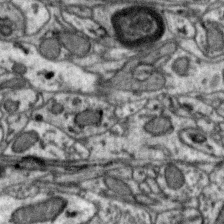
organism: Zebra finch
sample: Brain